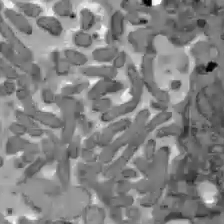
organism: C57BL Mouse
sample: Liver